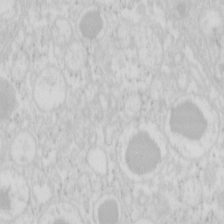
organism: Mouse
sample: Pancreas